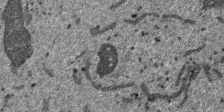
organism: Human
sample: Lung epithelial cells infected with SARS-CoV-2